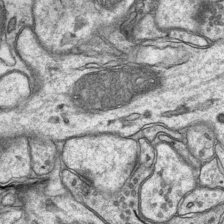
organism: Mouse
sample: CA1 Hippocampus